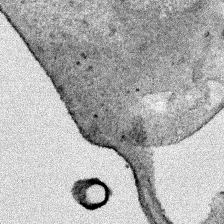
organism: Human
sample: Mitochondria in HCT116 cells